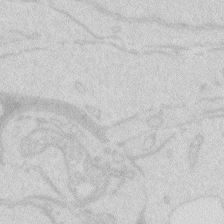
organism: Zebrafish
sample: Macrophage